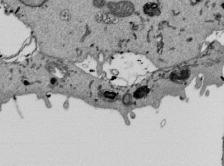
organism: Mouse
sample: ED-1 cell nuclei; centrioles